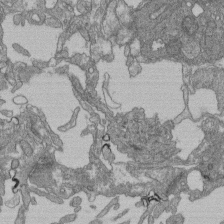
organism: Human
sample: Retinal organoid Rod and Cone cells